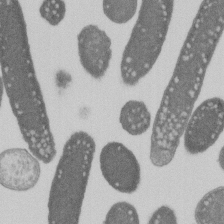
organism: E. coli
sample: Bacterial nucleoid